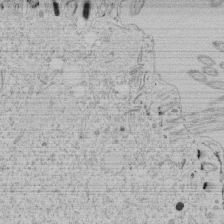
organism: Tetrahymena